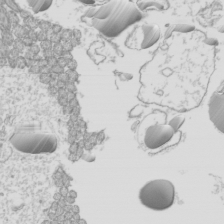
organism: Mouse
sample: Cilia; mouse epididymis